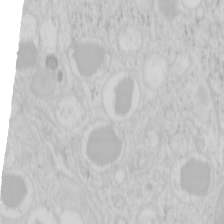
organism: Mouse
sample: Pancreas